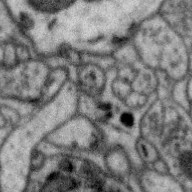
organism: Zebra finch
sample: Brain